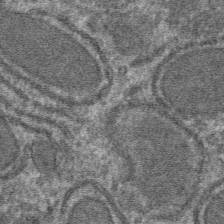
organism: Mouse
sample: Mouse hepatocytes